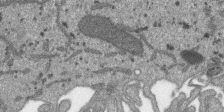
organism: Human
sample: Lung epithelial cells infected with SARS-CoV-2